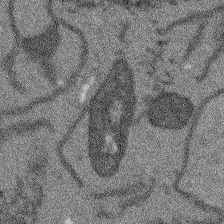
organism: Arabidopsis thaliana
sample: Root tip